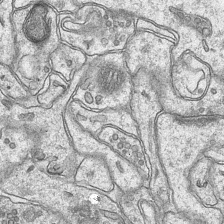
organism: Mouse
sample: CA1 Hippocampus